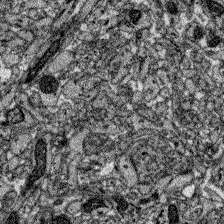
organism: Zebrafish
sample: Larval olfactory bulb